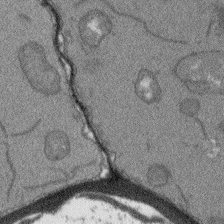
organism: Arabidopsis thaliana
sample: Root tip